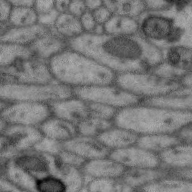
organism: Zebra finch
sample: Brain